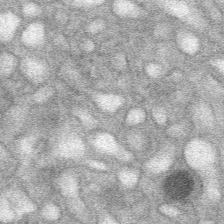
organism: Mouse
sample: Mouse Salivary gland